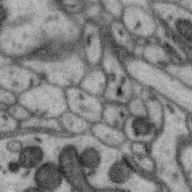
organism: Zebra finch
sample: Brain